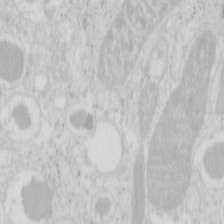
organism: Mouse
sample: Pancreas